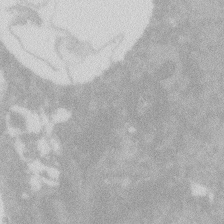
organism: Zebrafish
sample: Macrophage